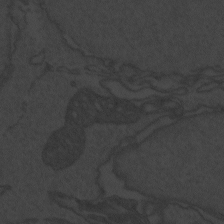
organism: Zebrafish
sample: Macrophage infected with Toxoplasma gondii